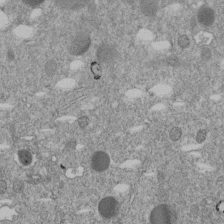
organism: C. elegans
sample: C. elegans embryo early stage